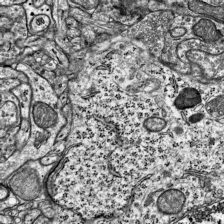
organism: Mouse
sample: Visual Cortex